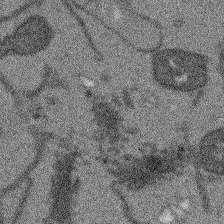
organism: Arabidopsis thaliana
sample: Root tip